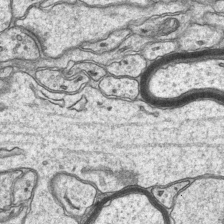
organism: Mouse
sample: CA1 Hippocampus